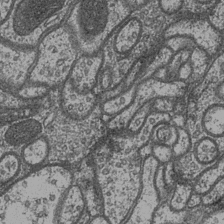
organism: Drosophila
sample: Optic medulla